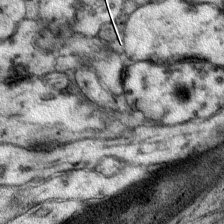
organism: Mouse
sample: Primary visual cortex